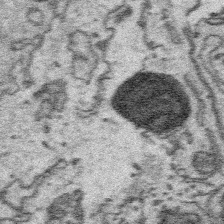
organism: Platynereis dumerilii